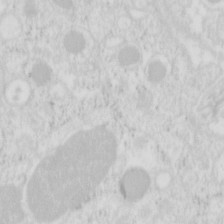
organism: Mouse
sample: Pancreas